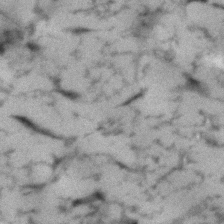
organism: Human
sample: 1205lu cells